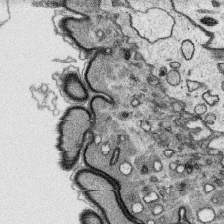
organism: Platynereis dumerilii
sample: Parapodia